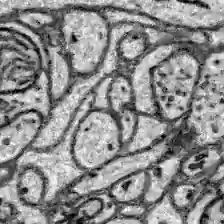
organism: Zebrafish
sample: Brain